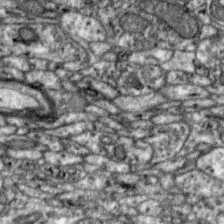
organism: Zebra finch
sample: Brain